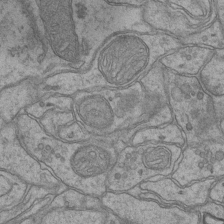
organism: Mouse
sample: CA1 Hippocampus